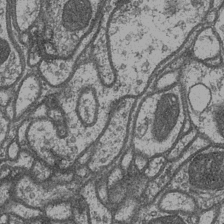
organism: Drosophila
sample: Optic medulla